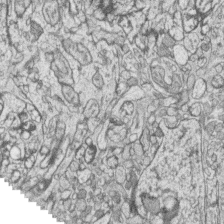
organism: Zebrafish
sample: synaptic ribbons in rod cells and cone cells